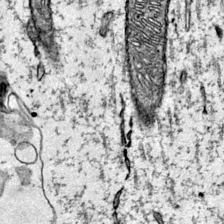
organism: Mouse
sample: Primary visual cortex